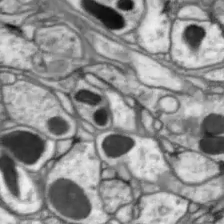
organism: Drosophila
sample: Optic lobe